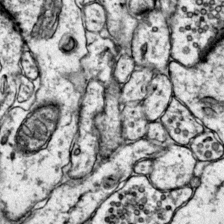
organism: Mouse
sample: Primary visual cortex